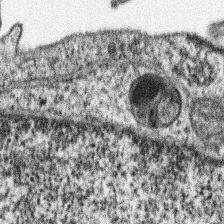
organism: Human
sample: HeLa cells